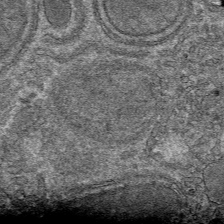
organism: Mouse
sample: Mouse hepatocytes